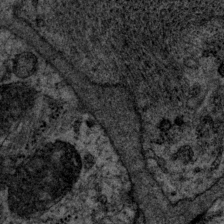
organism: P. pacificus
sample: Pharynx